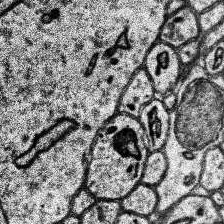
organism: Human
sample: Temporal Lobe